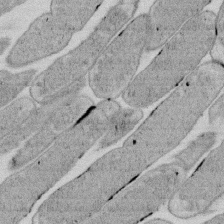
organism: E. coli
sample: Bacterial nucleoid